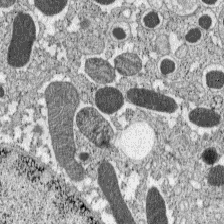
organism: C57BL Mouse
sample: Pancreatic islet